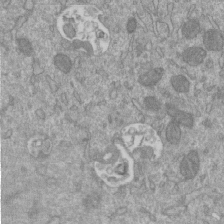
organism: Mouse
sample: ED-1 cell nuclei; centrioles